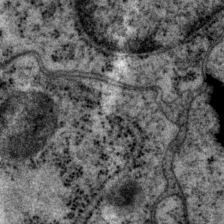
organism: P. pacificus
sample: Pharynx